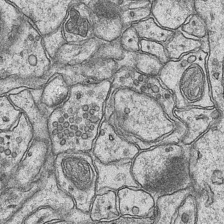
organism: Mouse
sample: CA1 Hippocampus